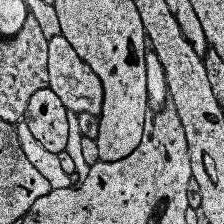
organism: Human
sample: Temporal Lobe